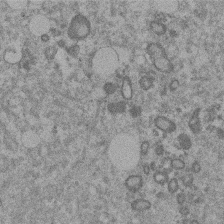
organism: Mouse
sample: Dividing mouse embryo 1 cell stage